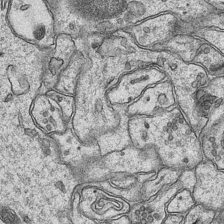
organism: Mouse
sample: CA1 Hippocampus